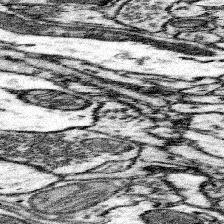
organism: Mouse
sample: Somatosensory cortex neuropil